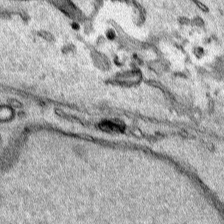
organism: Human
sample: Mitochondria in HCT116 cells